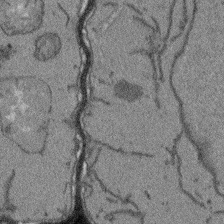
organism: Arabidopsis thaliana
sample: Root tip